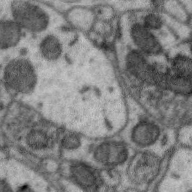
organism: Zebra finch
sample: Brain